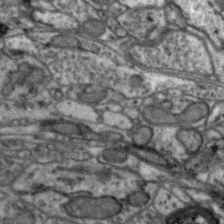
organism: Zebra finch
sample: Brain